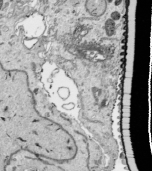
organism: Human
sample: Mitochondria in HCT116 cells